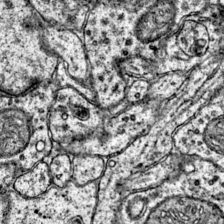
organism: Mouse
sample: Primary visual cortex